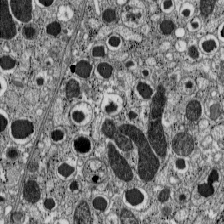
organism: C57BL Mouse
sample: Pancreatic islet